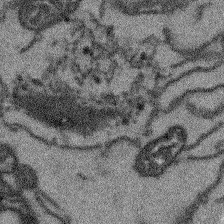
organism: Arabidopsis thaliana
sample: Root tip